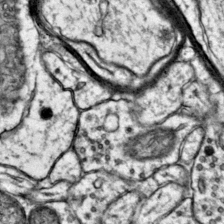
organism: Mouse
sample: Primary visual cortex